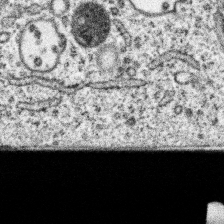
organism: Human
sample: HeLa cells